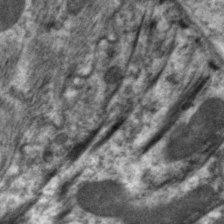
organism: C. elegans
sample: Pharynx